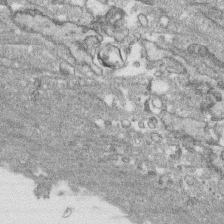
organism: Human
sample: CRL-1474